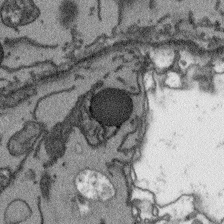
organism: Arabidopsis thaliana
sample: Root tip